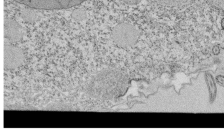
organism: Tetrahymena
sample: Cilia in tetrahymena